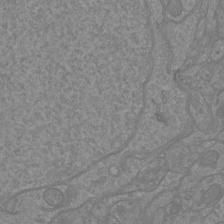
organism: Mouse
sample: Cortical neurons